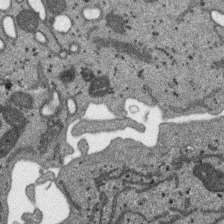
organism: Human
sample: Lung epithelial cells infected with SARS-CoV-2